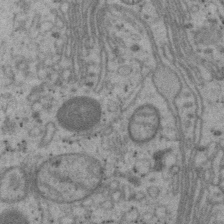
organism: Human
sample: HeLa cells